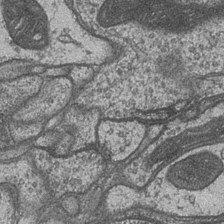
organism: Drosophila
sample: Optic medulla